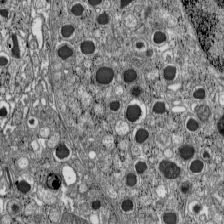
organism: C57BL Mouse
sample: Pancreatic islet